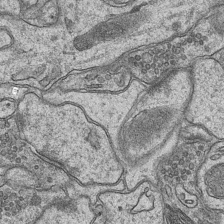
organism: Mouse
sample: CA1 Hippocampus